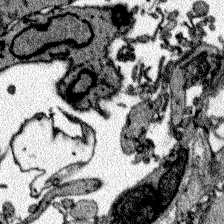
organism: Zebrafish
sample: Larval olfactory bulb